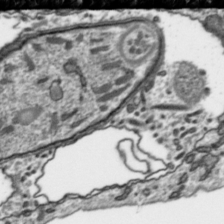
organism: Toxoplasma gondii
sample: Parasites in a vacuole inside a host cell